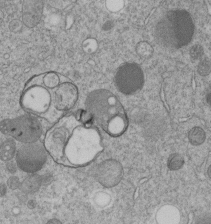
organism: C. elegans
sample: C. elegans embryo early stage